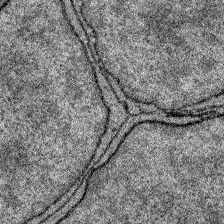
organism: Zebrafish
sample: Larval olfactory bulb